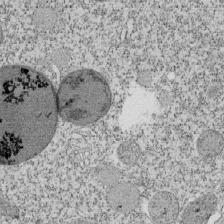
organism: Tetrahymena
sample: Cilia in tetrahymena